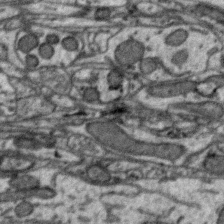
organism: Zebra finch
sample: Brain